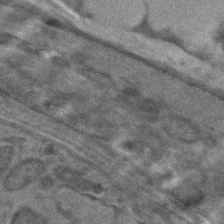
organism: C. elegans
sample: C. elegans embryo